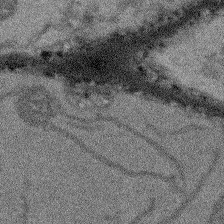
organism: Arabidopsis thaliana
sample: Root tip